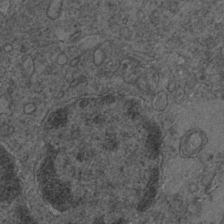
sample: Trachea